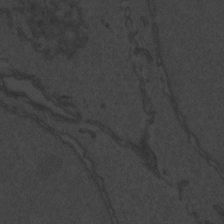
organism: Zebrafish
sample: Macrophage infected with Toxoplasma gondii